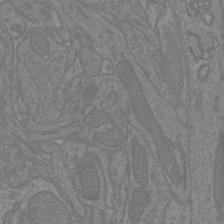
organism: Mouse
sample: Cortical neurons